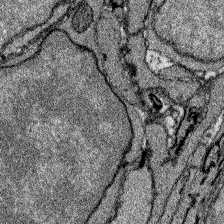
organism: Zebrafish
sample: Larval olfactory bulb